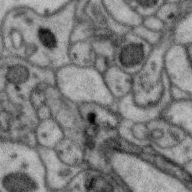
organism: Zebra finch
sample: Brain